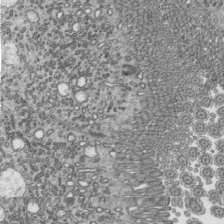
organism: Mouse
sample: Mouse epididymis efferent ductule cilia